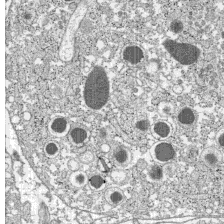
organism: C57BL Mouse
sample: Pancreatic islet